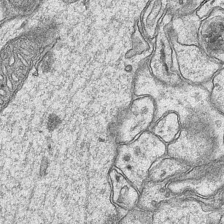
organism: Mouse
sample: CA1 Hippocampus